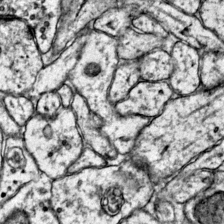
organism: Mouse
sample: Primary visual cortex